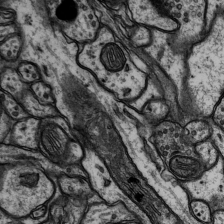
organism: Rat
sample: Hippocampus